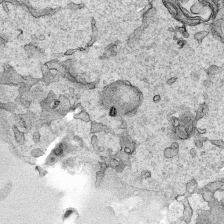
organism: Human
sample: Mitochondria in HCT116 cells